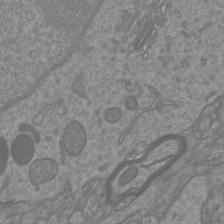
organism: Mouse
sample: Cortical neurons